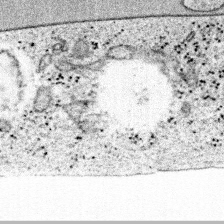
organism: Human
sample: HeLa cells